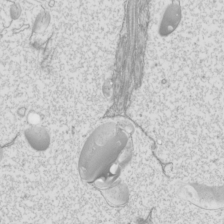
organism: Mouse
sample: Cilia; mouse epididymis